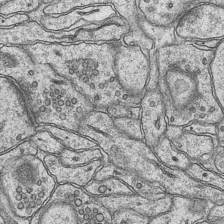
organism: Mouse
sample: CA1 Hippocampus